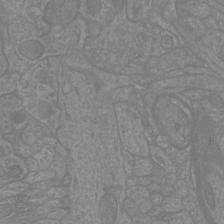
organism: Mouse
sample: Cortical neurons